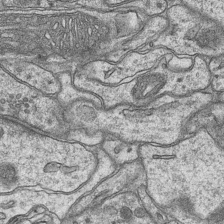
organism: Mouse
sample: CA1 Hippocampus